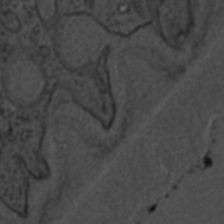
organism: C. elegans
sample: C. elegans embryo